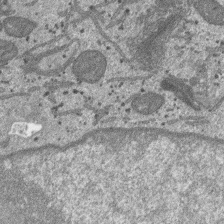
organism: Human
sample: Lung epithelial cells infected with SARS-CoV-2